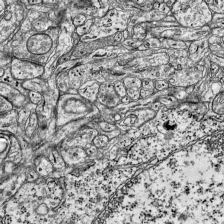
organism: Mouse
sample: Visual Cortex